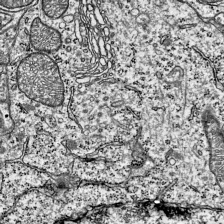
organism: Mouse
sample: Visual Cortex